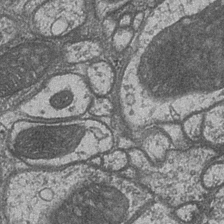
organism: Drosophila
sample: Optic medulla